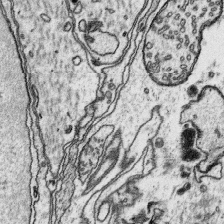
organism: Platynereis dumerilii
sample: Parapodia